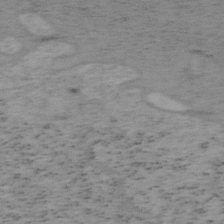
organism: Mouse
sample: OT-I killer T cells with ID8 ovarian cancer cells